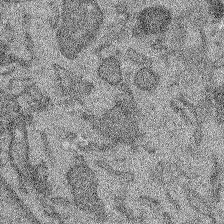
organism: Human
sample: HeLa cells